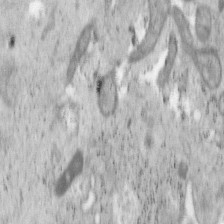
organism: Human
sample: HeLa cells